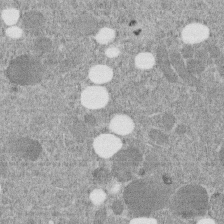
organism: C. elegans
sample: C. elegans embryo early stage